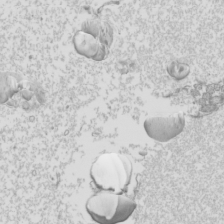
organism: Mouse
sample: Cilia; mouse epididymis